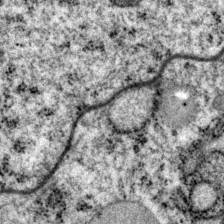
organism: P. pacificus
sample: Pharynx